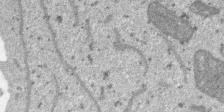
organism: Human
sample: Lung epithelial cells infected with SARS-CoV-2